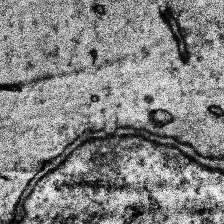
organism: Human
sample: Temporal Lobe